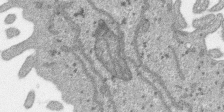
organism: Human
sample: Lung epithelial cells infected with SARS-CoV-2